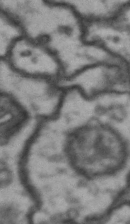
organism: Drosophila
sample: Brain